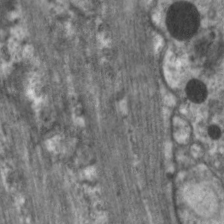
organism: C. elegans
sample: Pharynx